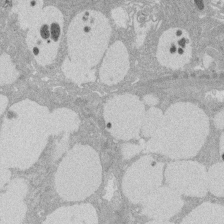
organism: Rat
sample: Salivary granule